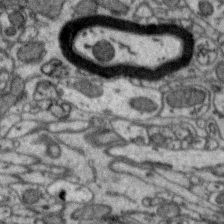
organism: Zebra finch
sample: Brain